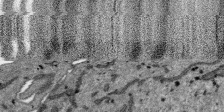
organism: Human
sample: Lung epithelial cells, uninfected (mock) control